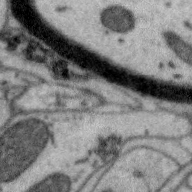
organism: Zebra finch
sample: Brain